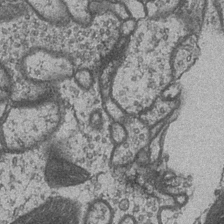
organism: Drosophila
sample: Optic medulla